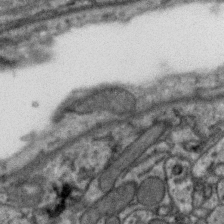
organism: Zebra finch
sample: Brain